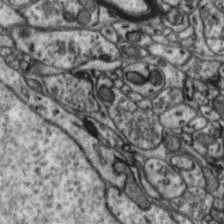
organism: Zebra finch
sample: Brain